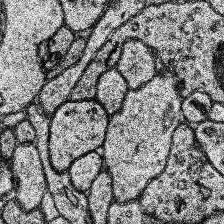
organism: Human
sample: Temporal Lobe